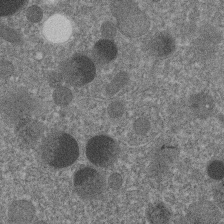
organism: C. elegans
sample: C. elegans embryo early stage